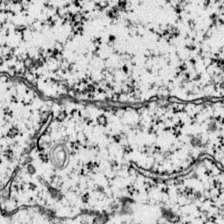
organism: Mouse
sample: Primary visual cortex